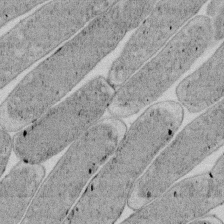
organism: E. coli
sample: Bacterial nucleoid